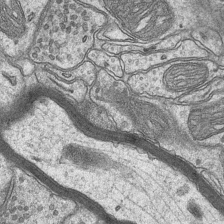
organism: Mouse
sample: CA1 Hippocampus